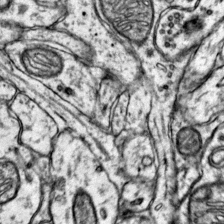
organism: Mouse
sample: Primary visual cortex